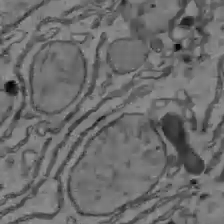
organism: C57BL Mouse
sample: Liver